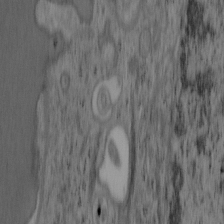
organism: Human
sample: HeLa cells